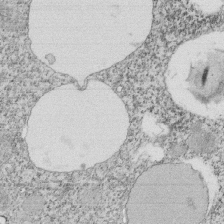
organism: Tetrahymena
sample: Cilia in tetrahymena